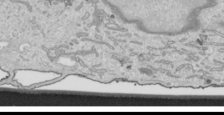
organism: Human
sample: Mitochondria in HCT116 cells